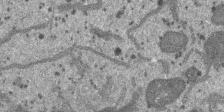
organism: Human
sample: Lung epithelial cells infected with SARS-CoV-2